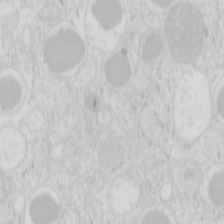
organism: Mouse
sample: Pancreas